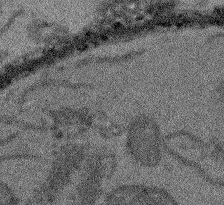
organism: Arabidopsis thaliana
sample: Root tip